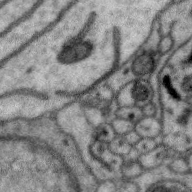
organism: Zebra finch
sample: Brain